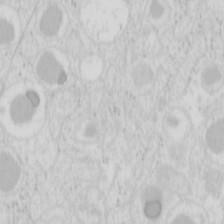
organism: Mouse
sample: Pancreas